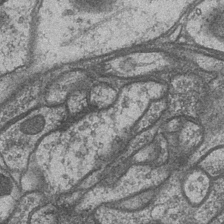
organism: Drosophila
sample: Optic medulla